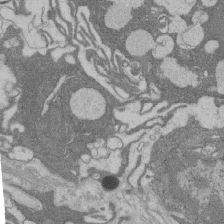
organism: Rat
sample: Salivary granule